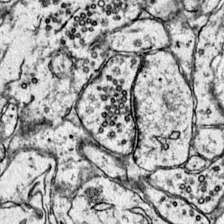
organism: Mouse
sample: Primary visual cortex